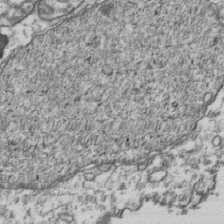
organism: Human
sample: Activated Jurkat CD4+ T cells